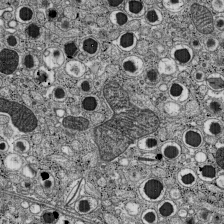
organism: C57BL Mouse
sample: Pancreatic islet